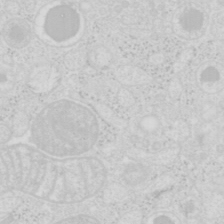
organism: Mouse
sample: Pancreas